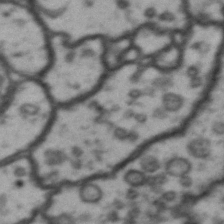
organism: Drosophila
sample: Brain